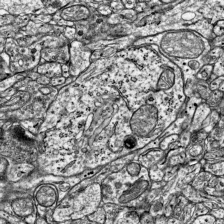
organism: Mouse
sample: Visual Cortex